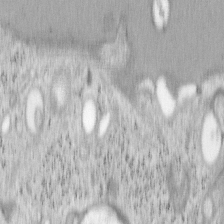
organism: Human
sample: HeLa cells